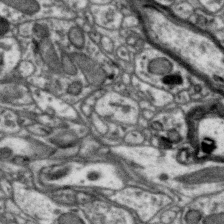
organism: Zebra finch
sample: Brain